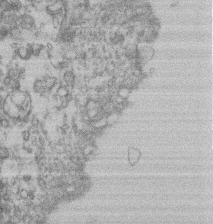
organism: Mouse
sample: T cell stromal cell synapse